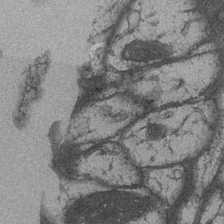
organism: Drosophila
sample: Optic medulla